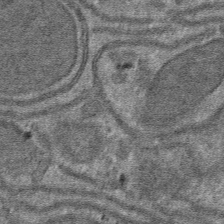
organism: Mouse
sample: Mouse hepatocytes